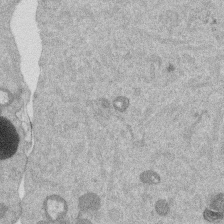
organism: Mouse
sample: Dividing mouse embryo 1 cell stage